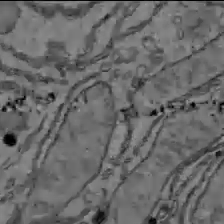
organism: C57BL Mouse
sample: Liver